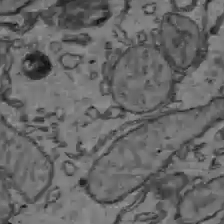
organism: C57BL Mouse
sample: Liver